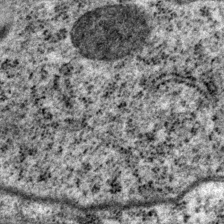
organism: P. pacificus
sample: Pharynx